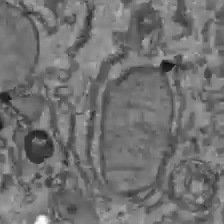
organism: C57BL Mouse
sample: Liver